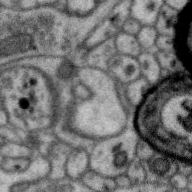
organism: Zebra finch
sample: Brain